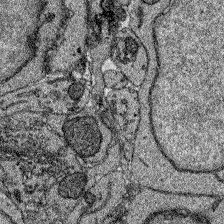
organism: Zebrafish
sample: Larval olfactory bulb